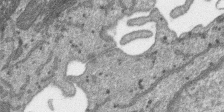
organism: Human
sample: Lung epithelial cells infected with SARS-CoV-2